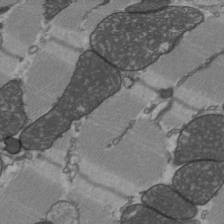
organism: C57BL Mouse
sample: Heart